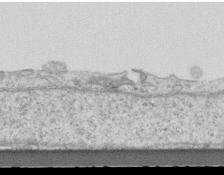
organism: Mouse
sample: Centriole in ependymal cells